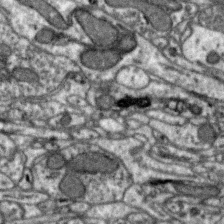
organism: Zebra finch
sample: Brain